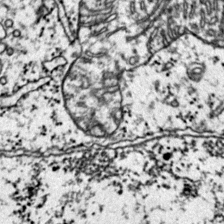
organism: Mouse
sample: Primary visual cortex